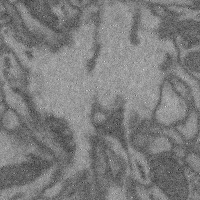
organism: Mouse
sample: Cerebral cortex